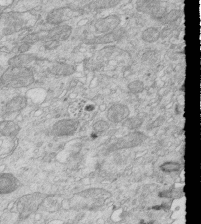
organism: Mouse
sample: Multiciliated cells